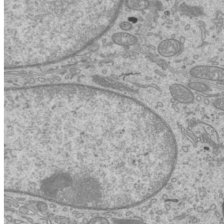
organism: Mouse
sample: Cilia; mouse epididymis